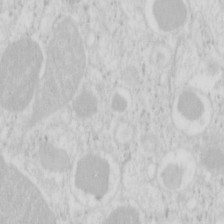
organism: Mouse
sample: Pancreas